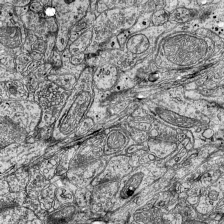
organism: Mouse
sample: Visual Cortex